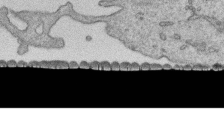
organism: Human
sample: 1205lu cells